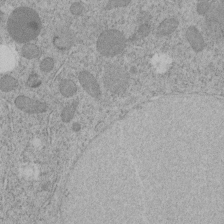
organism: C. elegans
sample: C. elegans embryo early stage